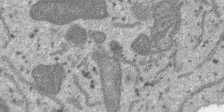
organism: Human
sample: Lung epithelial cells infected with SARS-CoV-2